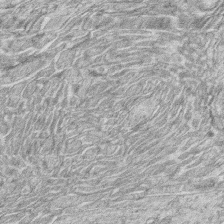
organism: Zebrafish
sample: synaptic ribbons in rod cells and cone cells